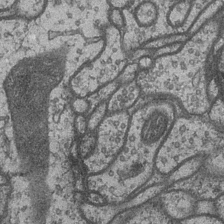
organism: Drosophila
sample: Optic medulla